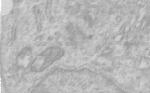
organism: Human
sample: Centriole in RPE cells